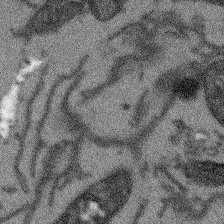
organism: Arabidopsis thaliana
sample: Root tip